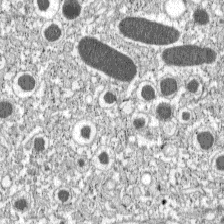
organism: C57BL Mouse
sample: Pancreatic islet